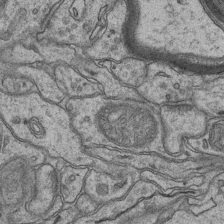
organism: Mouse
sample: CA1 Hippocampus